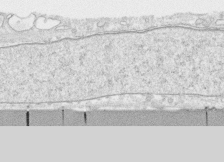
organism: Human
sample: CRL-1474